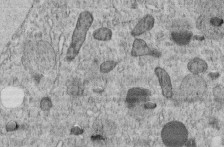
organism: C. elegans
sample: C. elegans embryo early stage